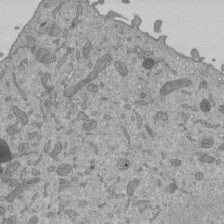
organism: Mouse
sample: ED-1 cell nuclei; centrioles